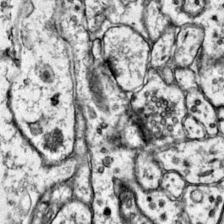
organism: Mouse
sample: Primary visual cortex